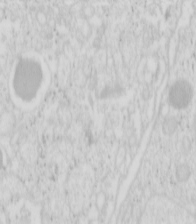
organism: Mouse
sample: Pancreas